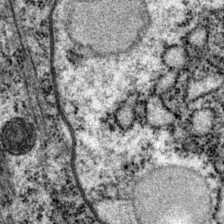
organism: P. pacificus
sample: Pharynx